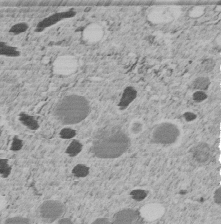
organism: C. elegans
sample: C. elegans embryo early stage